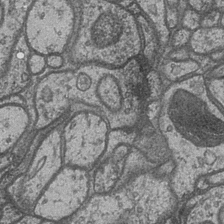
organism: Drosophila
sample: Optic medulla